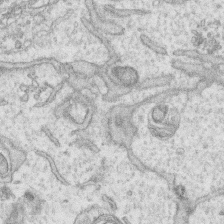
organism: Human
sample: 1205lu cells